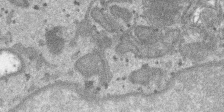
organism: Human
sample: Lung epithelial cells infected with SARS-CoV-2